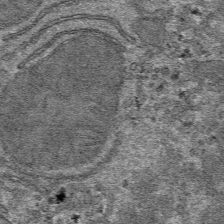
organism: Mouse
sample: Mouse hepatocytes